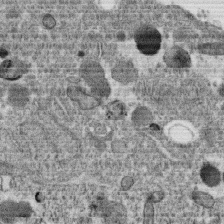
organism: C. elegans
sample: C. elegans oocyte; sperm cells